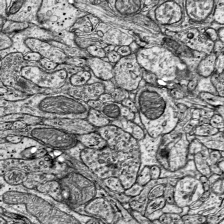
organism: Mouse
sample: Visual Cortex